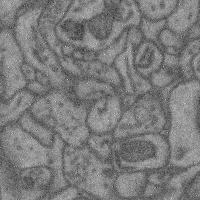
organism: Mouse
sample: Cerebral cortex